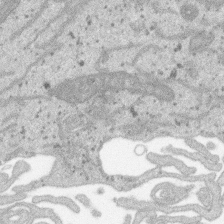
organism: Human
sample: Lung epithelial cells infected with SARS-CoV-2